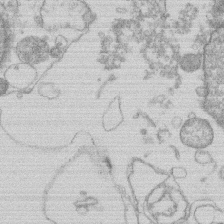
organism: Human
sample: Macrophage cells